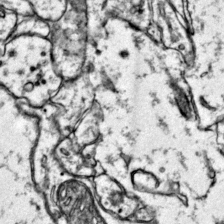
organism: Mouse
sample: Primary visual cortex